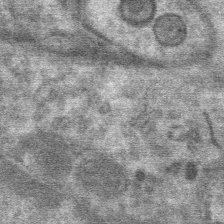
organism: Mouse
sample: Mouse Salivary gland